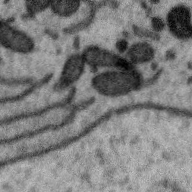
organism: Zebra finch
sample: Brain